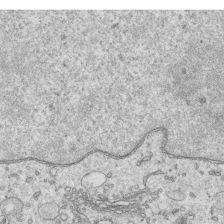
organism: Human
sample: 1205lu cells